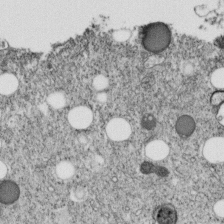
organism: C. elegans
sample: C. elegans embryo early stage